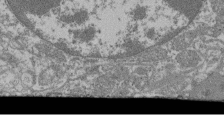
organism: Mouse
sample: Glomerulus